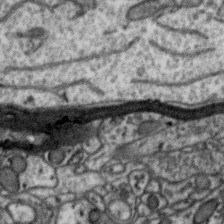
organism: Zebra finch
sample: Brain